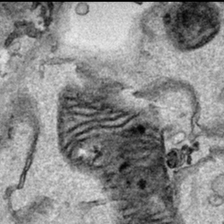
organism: Human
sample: Mitochondria in HCT116 cells